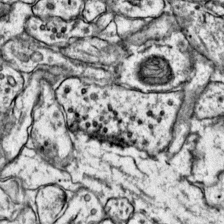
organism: Mouse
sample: Primary visual cortex